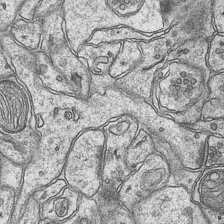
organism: Mouse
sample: CA1 Hippocampus